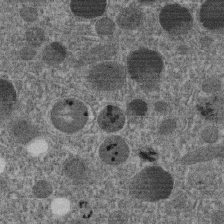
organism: C. elegans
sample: C. elegans embryo early stage